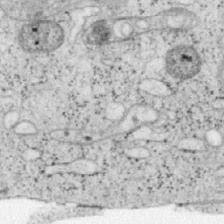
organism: Mouse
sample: OT-I killer T cells with ID8 ovarian cancer cells